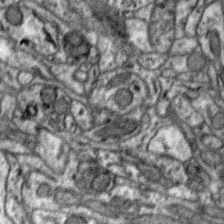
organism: Zebra finch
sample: Brain